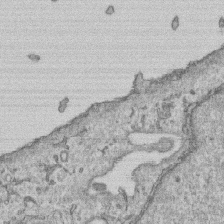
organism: Human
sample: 1205lu cells